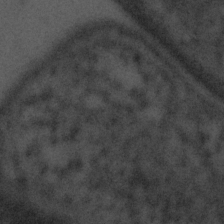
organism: Tuwongella immobilis